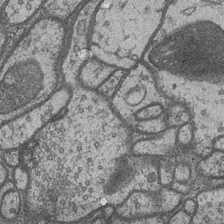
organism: Drosophila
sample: Optic medulla